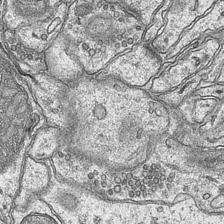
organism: Mouse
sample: CA1 Hippocampus